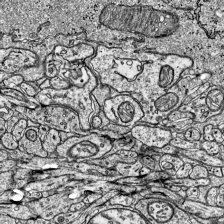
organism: Mouse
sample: Visual Cortex